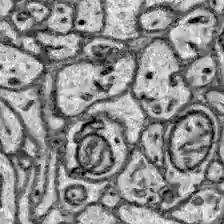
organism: Zebrafish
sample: Brain